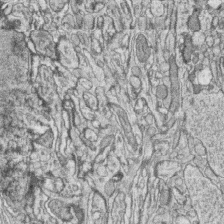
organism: Zebrafish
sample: synaptic ribbons in rod cells and cone cells